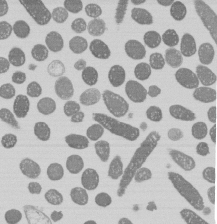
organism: E. coli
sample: Bacterial nucleoid